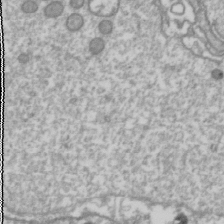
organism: Drosophila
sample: Cell division; meiosis; drosophila spermatocytes